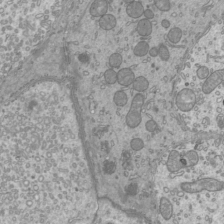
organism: Mouse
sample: Cilia; mouse epididymis